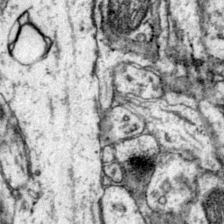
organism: Mouse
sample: Primary visual cortex